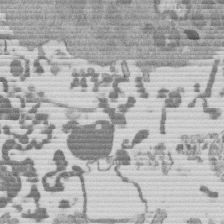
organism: Mouse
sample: Dividing mouse embryo 1 cell stage